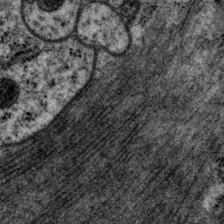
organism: P. pacificus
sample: Pharynx